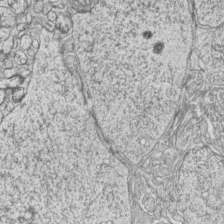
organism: Zebrafish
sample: synaptic ribbons in rod cells and cone cells